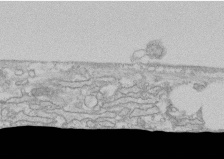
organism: Human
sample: CRL-1474